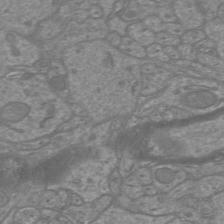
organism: Mouse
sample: Cortical neurons